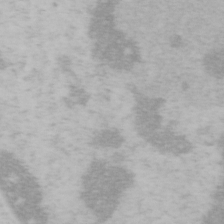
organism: Mouse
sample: OT-I killer T cells with ID8 ovarian cancer cells